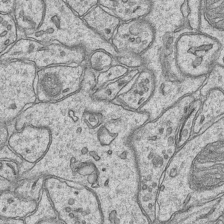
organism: Mouse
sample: CA1 Hippocampus